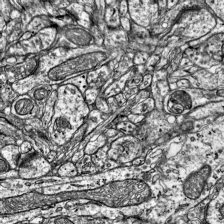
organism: Mouse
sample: Visual Cortex